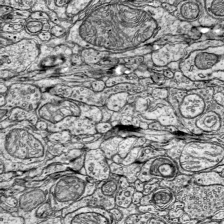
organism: Mouse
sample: Visual Cortex